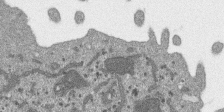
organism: Human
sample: Lung epithelial cells infected with SARS-CoV-2